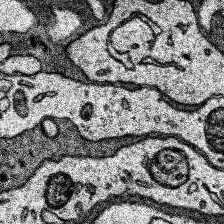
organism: Human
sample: Temporal Lobe